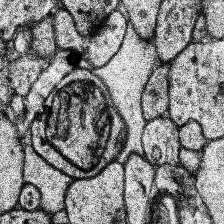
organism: Human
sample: Temporal Lobe